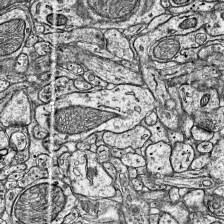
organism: Mouse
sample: Visual Cortex